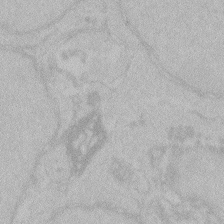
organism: Zebrafish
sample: Macrophage infected with Toxoplasma gondii